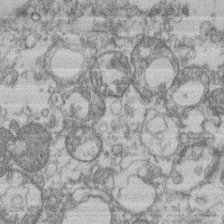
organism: Mouse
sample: T cell stromal cell synapse